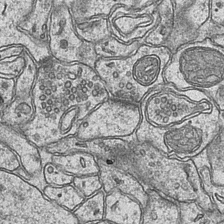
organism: Mouse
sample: CA1 Hippocampus